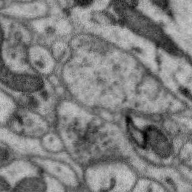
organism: Zebra finch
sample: Brain